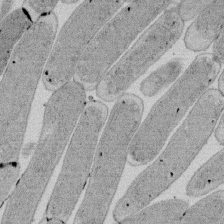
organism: E. coli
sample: Bacterial nucleoid